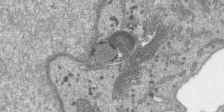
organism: Human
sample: Lung epithelial cells infected with SARS-CoV-2